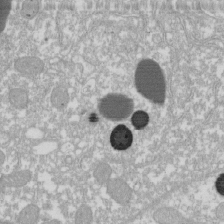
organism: Xenopus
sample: Cilia; centrioles in frog embryo cells